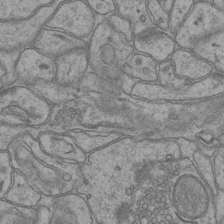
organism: Mouse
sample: CA1 Hippocampus